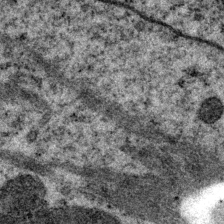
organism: P. pacificus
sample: Pharynx